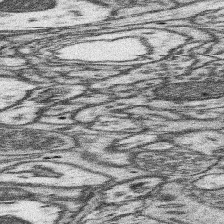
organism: Mouse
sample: Somatosensory cortex neuropil